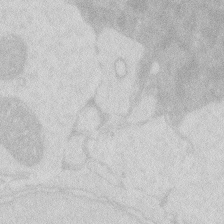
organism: Zebrafish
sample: Macrophage